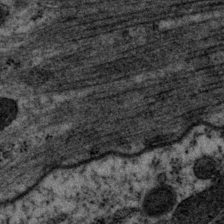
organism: P. pacificus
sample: Pharynx